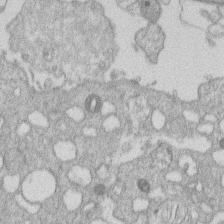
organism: Human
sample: Macrophage cells